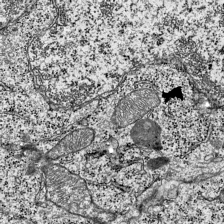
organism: Mouse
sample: Visual Cortex